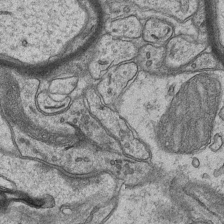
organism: Mouse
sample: CA1 Hippocampus